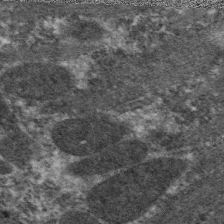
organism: C. elegans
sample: Pharynx